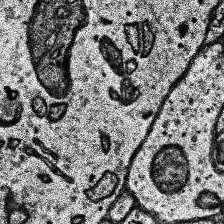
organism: Human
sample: Temporal Lobe